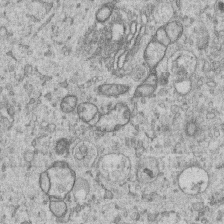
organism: Human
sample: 1205lu cells